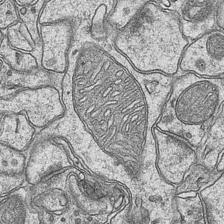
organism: Mouse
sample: CA1 Hippocampus